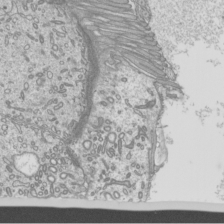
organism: Mouse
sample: Cilia; mouse epididymis